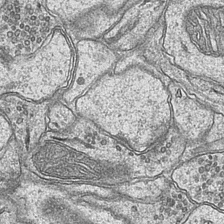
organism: Mouse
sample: CA1 Hippocampus